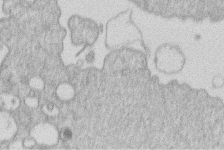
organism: Human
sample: Macrophage cells